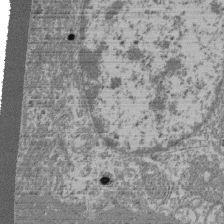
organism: Mouse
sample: Glomerulus